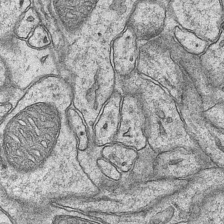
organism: Mouse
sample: CA1 Hippocampus